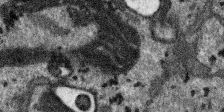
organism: Human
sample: Lung epithelial cells infected with SARS-CoV-2